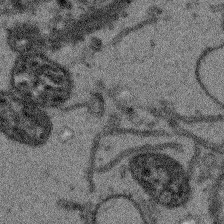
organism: Arabidopsis thaliana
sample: Root tip